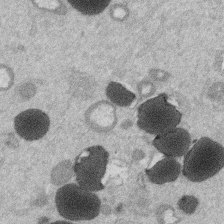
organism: Mouse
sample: Dividing mouse embryo 1 cell stage